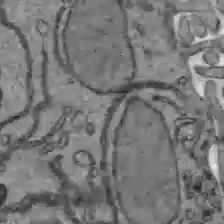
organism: C57BL Mouse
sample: Liver